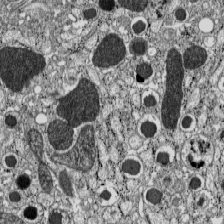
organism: C57BL Mouse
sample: Pancreatic islet